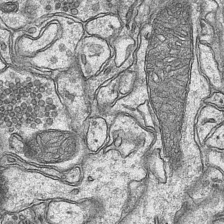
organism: Mouse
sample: CA1 Hippocampus